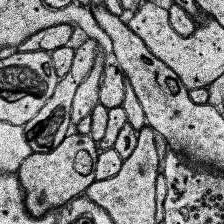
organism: Human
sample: Temporal Lobe